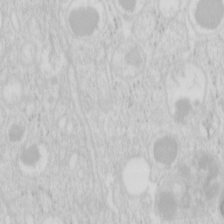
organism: Mouse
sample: Pancreas